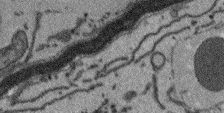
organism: Arabidopsis thaliana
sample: Root tip